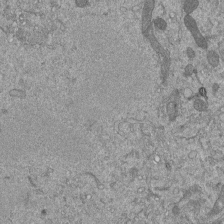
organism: Mouse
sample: ED-1 cell nuclei; centrioles